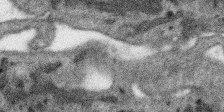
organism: Human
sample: Lung epithelial cells infected with SARS-CoV-2